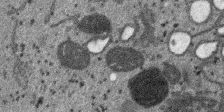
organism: Human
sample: Lung epithelial cells infected with SARS-CoV-2